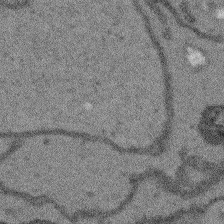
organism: Arabidopsis thaliana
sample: Root tip